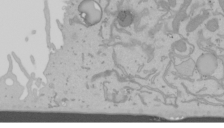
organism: Mouse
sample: Cancer cell death in ED-1 cells